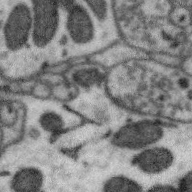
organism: Zebra finch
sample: Brain